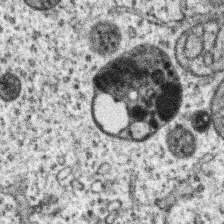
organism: Human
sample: HeLa cells